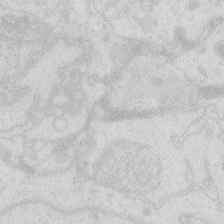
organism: Zebrafish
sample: Macrophage